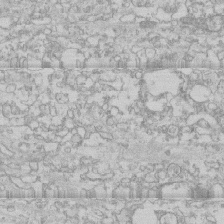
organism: Human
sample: CRL-1474